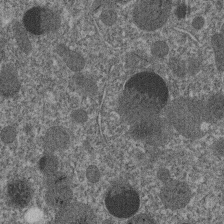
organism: C. elegans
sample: C. elegans embryo early stage